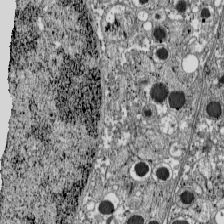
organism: C57BL Mouse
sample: Pancreatic islet